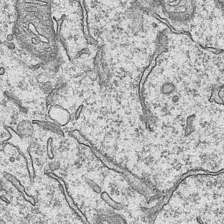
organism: Mouse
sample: CA1 Hippocampus